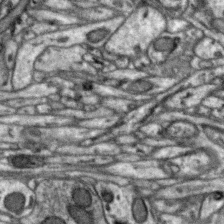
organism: Zebra finch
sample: Brain